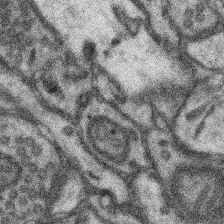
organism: Mouse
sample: Somatosensory cortex neuropil